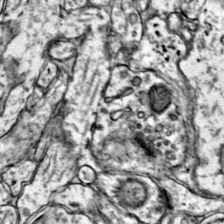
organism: Mouse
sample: Primary visual cortex